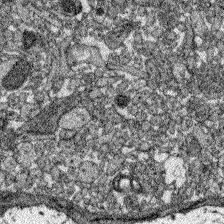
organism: Zebrafish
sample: Larval olfactory bulb